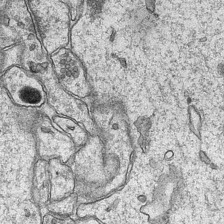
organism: Mouse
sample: CA1 Hippocampus